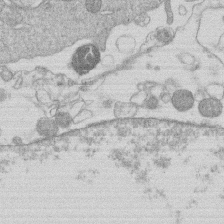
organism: Human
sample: Macrophage cells